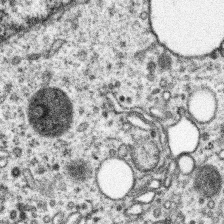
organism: Human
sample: HeLa cells